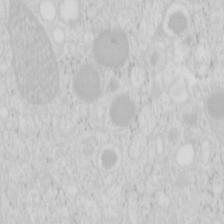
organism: Mouse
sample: Pancreas